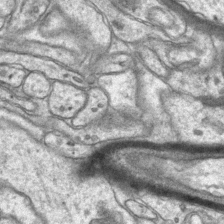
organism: Mouse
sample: CA1 Hippocampus